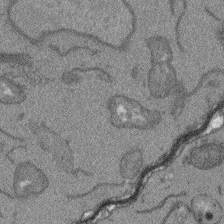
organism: Arabidopsis thaliana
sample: Root tip